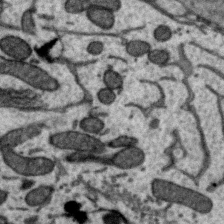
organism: Zebra finch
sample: Brain